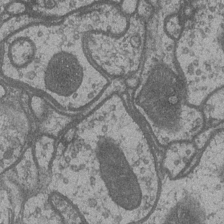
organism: Drosophila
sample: Optic medulla